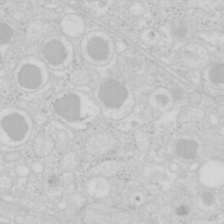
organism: Mouse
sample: Pancreas